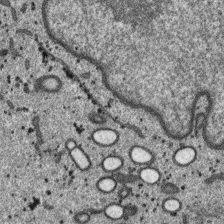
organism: Human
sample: Lung epithelial cells infected with SARS-CoV-2